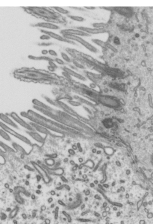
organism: Mouse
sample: Mouse epididymis efferent ductule cilia